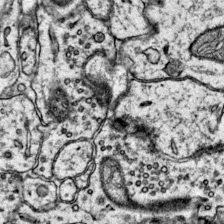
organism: Mouse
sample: Primary visual cortex